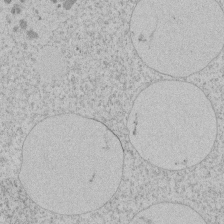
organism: Tetrahymena